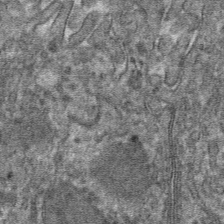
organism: Mouse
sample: Mouse hepatocytes